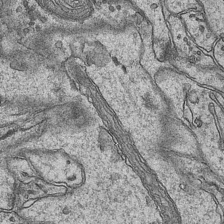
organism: Mouse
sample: CA1 Hippocampus